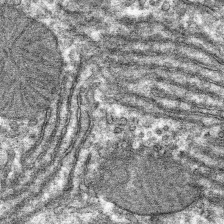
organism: Mouse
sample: Mouse hepatocytes